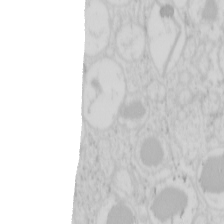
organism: Mouse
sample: Pancreas